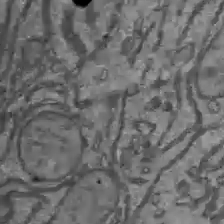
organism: C57BL Mouse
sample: Liver